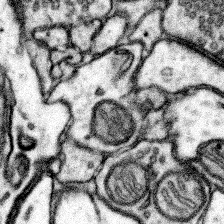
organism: Mouse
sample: Somatosensory cortex neuropil